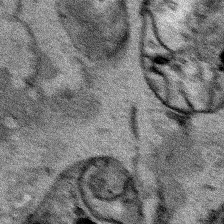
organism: Human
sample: Mitochondria in HCT116 cells